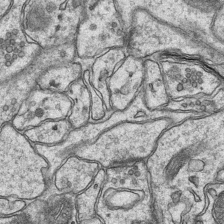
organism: Mouse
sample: CA1 Hippocampus